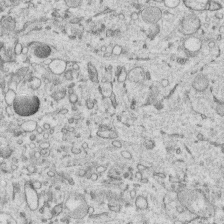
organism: Human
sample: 1205lu cells